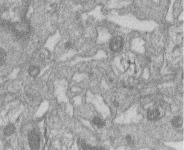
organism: Human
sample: Macrophage cells